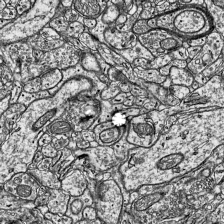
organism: Mouse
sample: Visual Cortex